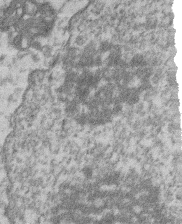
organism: Mouse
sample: T cell stromal cell synapse